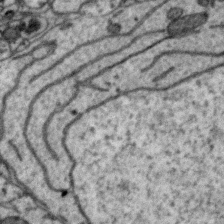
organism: Zebra finch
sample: Brain